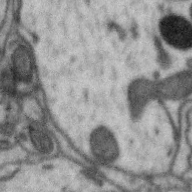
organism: Zebra finch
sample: Brain